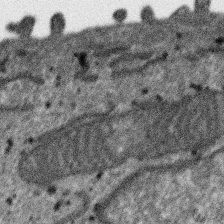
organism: Human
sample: Lung epithelial cells infected with SARS-CoV-2